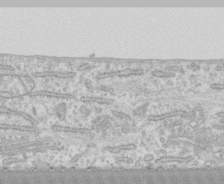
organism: Human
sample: CRL-1474